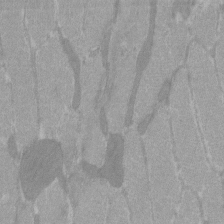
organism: C57BL Mouse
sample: Tibialis anterior muscle cell